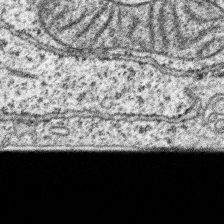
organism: Human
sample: HeLa cells